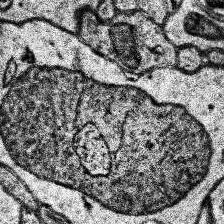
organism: Human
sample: Temporal Lobe